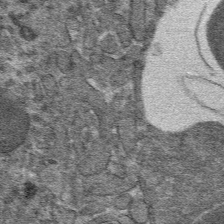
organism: Mouse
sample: Mouse hepatocytes